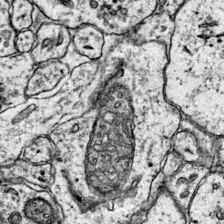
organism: Mouse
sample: Primary visual cortex